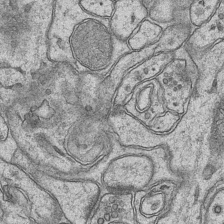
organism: Mouse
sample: CA1 Hippocampus